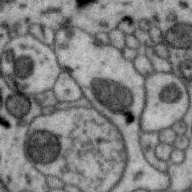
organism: Zebra finch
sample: Brain